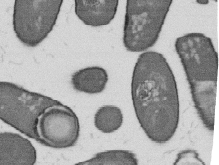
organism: B. subtilis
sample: Bacterial spore